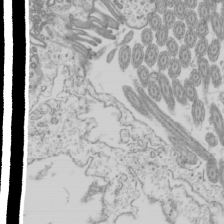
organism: Mouse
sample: Cilia; mouse epididymis